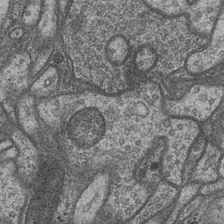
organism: Drosophila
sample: Optic medulla